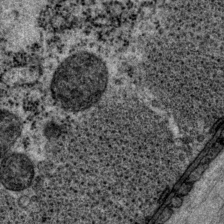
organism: P. pacificus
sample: Pharynx